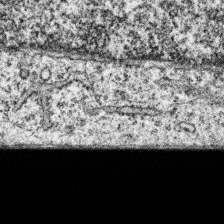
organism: Human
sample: HeLa cells